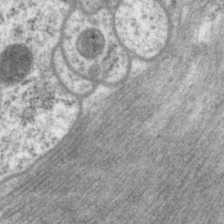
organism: P. pacificus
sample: Pharynx